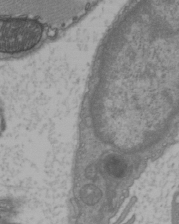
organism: C57BL Mouse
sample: Heart